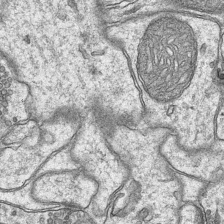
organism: Mouse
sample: CA1 Hippocampus